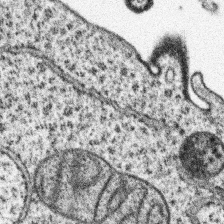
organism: Human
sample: HeLa cells